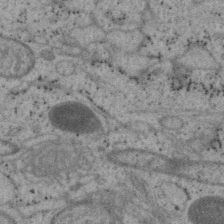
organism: Human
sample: HeLa cells